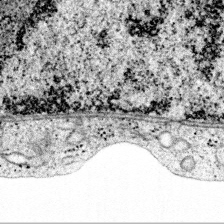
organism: Human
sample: HeLa cells